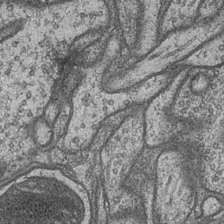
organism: Drosophila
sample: Optic medulla